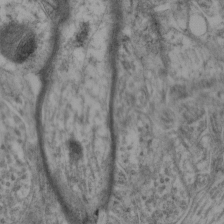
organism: Mouse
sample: Neocortex